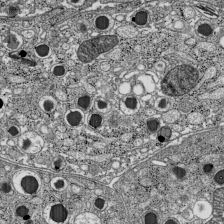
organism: C57BL Mouse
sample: Pancreatic islet